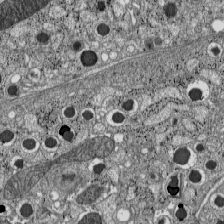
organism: C57BL Mouse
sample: Pancreatic islet